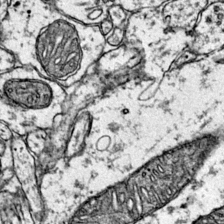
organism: Mouse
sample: Primary visual cortex